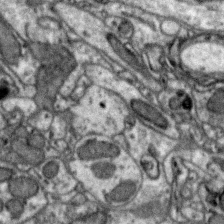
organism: Zebra finch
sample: Brain